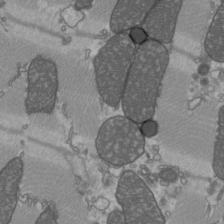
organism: C57BL Mouse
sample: Heart